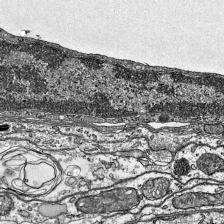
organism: Mouse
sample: Visual Cortex